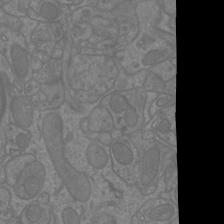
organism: Mouse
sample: Cortical neurons